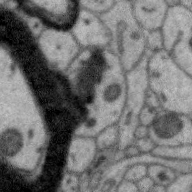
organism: Zebra finch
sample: Brain